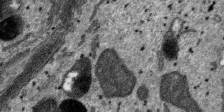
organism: Human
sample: Lung epithelial cells, uninfected (mock) control